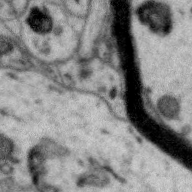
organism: Zebra finch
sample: Brain